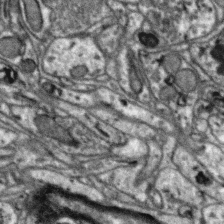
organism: Zebra finch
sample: Brain